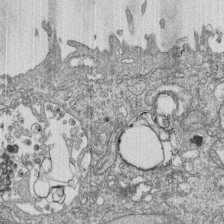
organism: Human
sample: HeLa cell HIV synapse